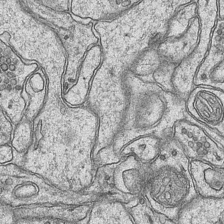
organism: Mouse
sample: CA1 Hippocampus